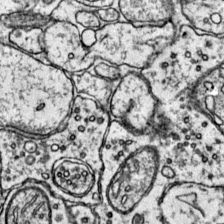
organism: Mouse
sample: Primary visual cortex